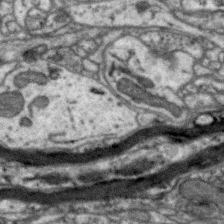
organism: Zebra finch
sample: Brain